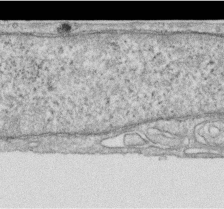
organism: Human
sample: Centriole in RPE cells